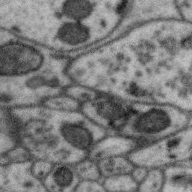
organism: Zebra finch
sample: Brain